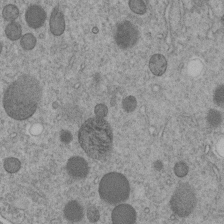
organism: C. elegans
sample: C. elegans embryo early stage